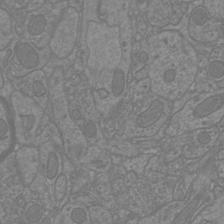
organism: Mouse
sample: Cortical neurons